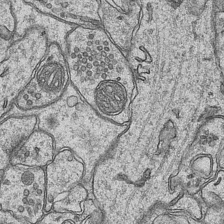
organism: Mouse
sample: CA1 Hippocampus